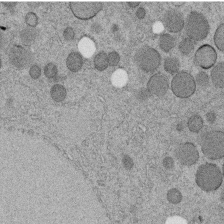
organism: C. elegans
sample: C. elegans embryo early stage